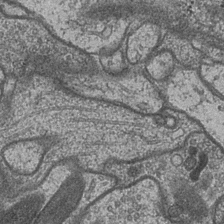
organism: Drosophila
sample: Optic medulla